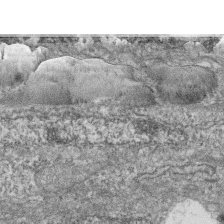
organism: Zebrafish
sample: Cilia; retinal pigment epithelium